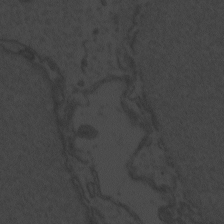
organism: Zebrafish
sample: Macrophage infected with Toxoplasma gondii